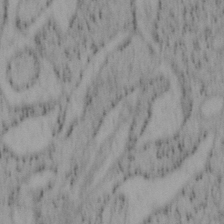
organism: Mouse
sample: OT-I killer T cells with ID8 ovarian cancer cells